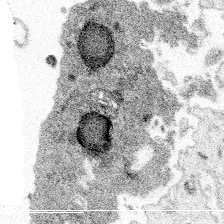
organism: Spongilla lacustris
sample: Multiple